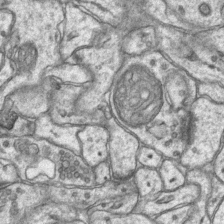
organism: Mouse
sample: CA1 Hippocampus